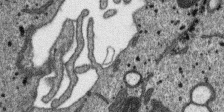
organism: Human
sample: Lung epithelial cells infected with SARS-CoV-2